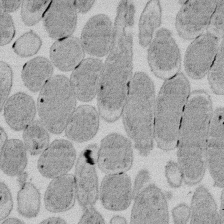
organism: E. coli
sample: Bacterial nucleoid